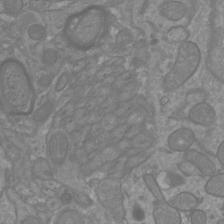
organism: Mouse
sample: Cortical neurons